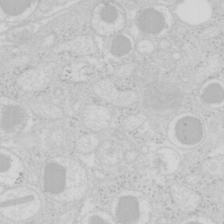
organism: Mouse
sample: Pancreas